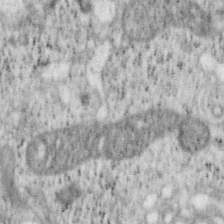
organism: Mouse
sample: OT-I killer T cells with ID8 ovarian cancer cells